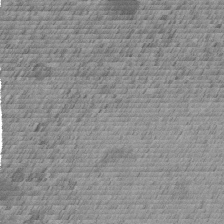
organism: C. elegans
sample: C. elegans embryo early stage